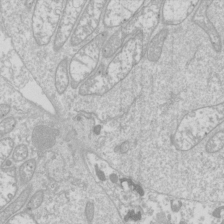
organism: Drosophila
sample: Cell division; meiosis; drosophila spermatocytes